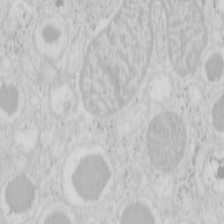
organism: Mouse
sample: Pancreas